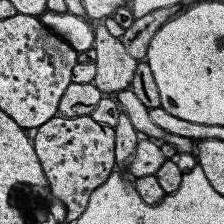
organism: Human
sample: Temporal Lobe